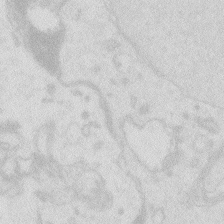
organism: Zebrafish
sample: Macrophage